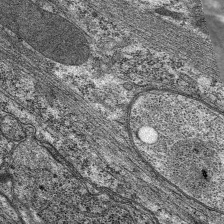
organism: C. elegans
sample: Pharynx